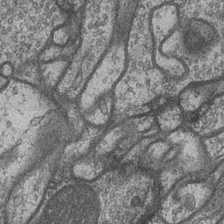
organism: Drosophila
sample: Optic medulla